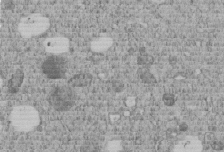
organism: C. elegans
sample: C. elegans embryo early stage